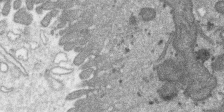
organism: Human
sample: Lung epithelial cells infected with SARS-CoV-2